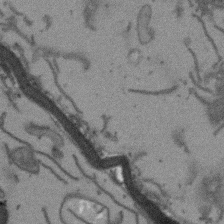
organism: Arabidopsis thaliana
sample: Root tip